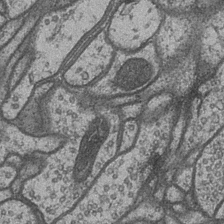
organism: Drosophila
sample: Optic medulla